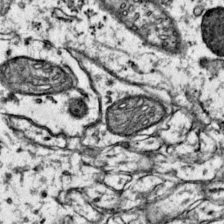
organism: Mouse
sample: Primary visual cortex